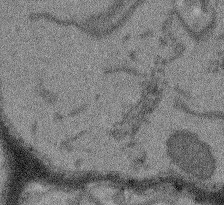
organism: Arabidopsis thaliana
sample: Root tip